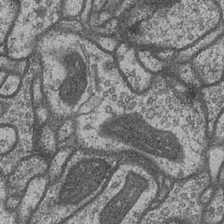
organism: Drosophila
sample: Optic medulla